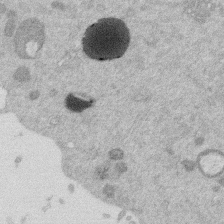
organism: Mouse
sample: Dividing mouse embryo 1 cell stage